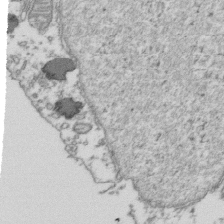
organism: Human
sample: Activated Jurkat CD4+ T cells